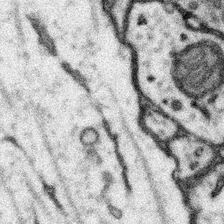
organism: Mouse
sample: Somatosensory cortex neuropil